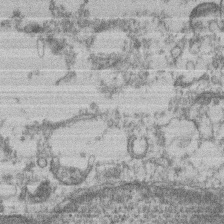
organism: Mouse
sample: T cell stromal cell synapse